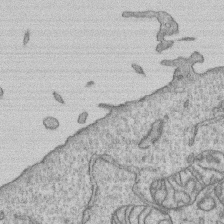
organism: Human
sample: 1205lu cells